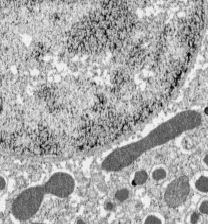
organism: C57BL Mouse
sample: Pancreatic islet